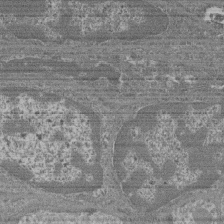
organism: Mouse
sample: Glomerulus